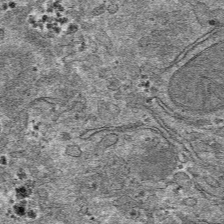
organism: Mouse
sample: Mouse hepatocytes